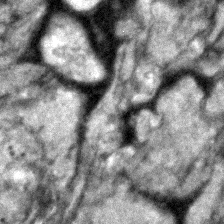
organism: Zebrafish